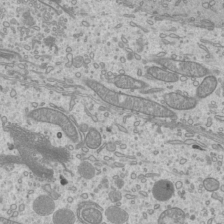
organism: Mouse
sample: Cilia; mouse epididymis